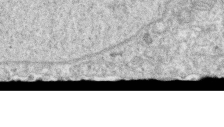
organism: Human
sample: HeLa cell HIV synapse